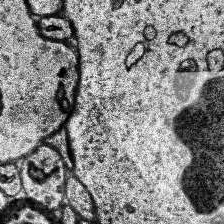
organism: Human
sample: Temporal Lobe